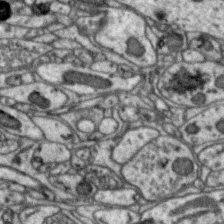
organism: Zebra finch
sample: Brain